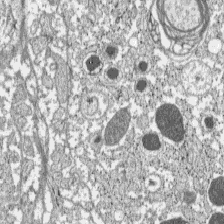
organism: C57BL Mouse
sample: Pancreatic islet